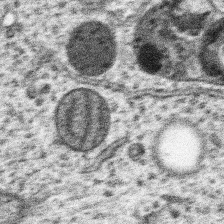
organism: Human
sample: HeLa cells